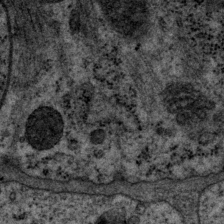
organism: P. pacificus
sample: Pharynx